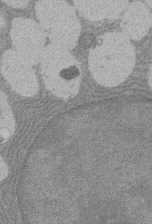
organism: Rat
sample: Salivary granule